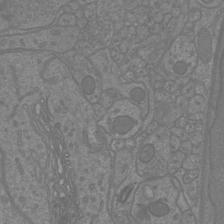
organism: Mouse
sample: Cortical neurons